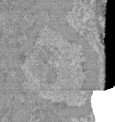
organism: Mouse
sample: Glomerulus